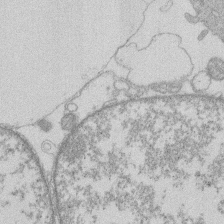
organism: Human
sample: Macrophage cells